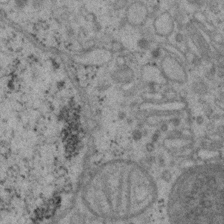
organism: Human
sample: HeLa cells